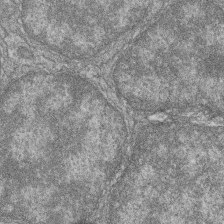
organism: Zebrafish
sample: Cilia; retinal pigment epithelium